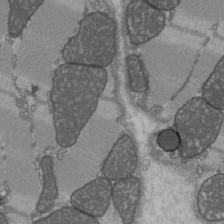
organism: C57BL Mouse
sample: Heart